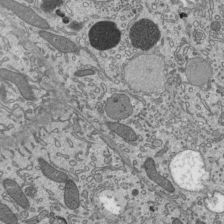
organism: Mouse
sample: Mouse epididymis efferent ductule cilia